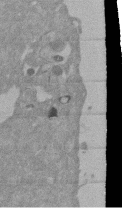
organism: Mouse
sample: ED-1 cell nuclei; centrioles